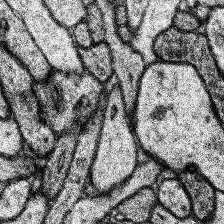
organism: Human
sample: Temporal Lobe